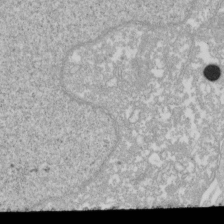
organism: Xenopus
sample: Cilia; centrioles in frog embryo cells